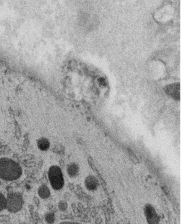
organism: C. elegans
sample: C. elegans oocyte; sperm cells